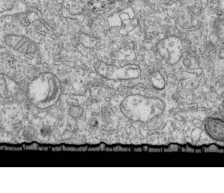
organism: Human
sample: HeLa cell HIV synapse